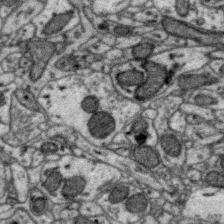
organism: Zebra finch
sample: Brain